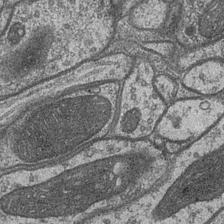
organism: Drosophila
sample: Optic medulla